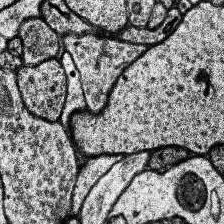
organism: Human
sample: Temporal Lobe